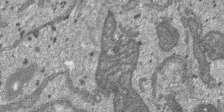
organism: Human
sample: Lung epithelial cells infected with SARS-CoV-2